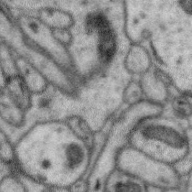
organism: Zebra finch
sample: Brain